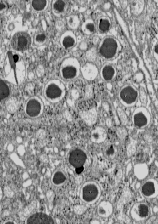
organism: C57BL Mouse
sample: Pancreatic islet